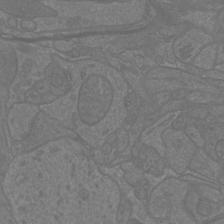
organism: Mouse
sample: Cortical neurons